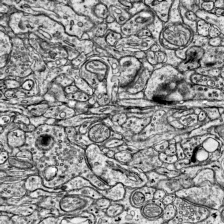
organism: Mouse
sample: Visual Cortex